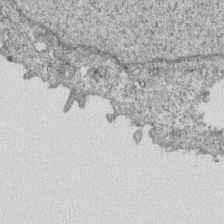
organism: Human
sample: HeLa cell HIV synapse